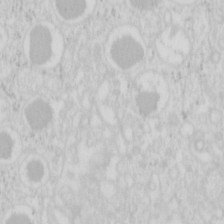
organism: Mouse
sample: Pancreas